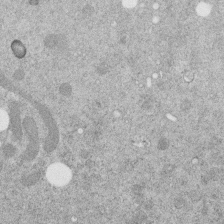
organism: C. elegans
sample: C. elegans embryo early stage